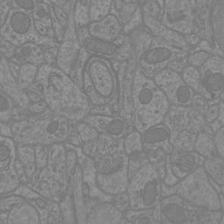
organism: Mouse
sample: Cortical neurons